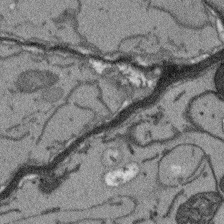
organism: Arabidopsis thaliana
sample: Root tip